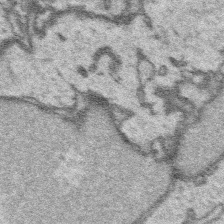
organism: Platynereis dumerilii